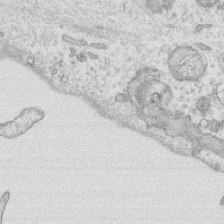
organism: Human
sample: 1205lu cells